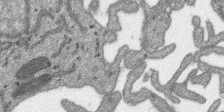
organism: Human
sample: Lung epithelial cells infected with SARS-CoV-2